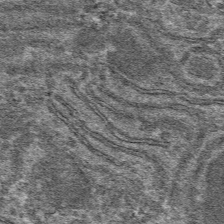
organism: Mouse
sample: Mouse hepatocytes